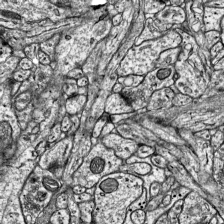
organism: Mouse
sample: Visual Cortex